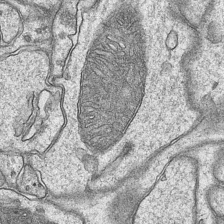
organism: Mouse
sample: CA1 Hippocampus